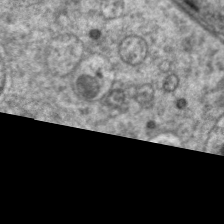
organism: C. elegans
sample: Pharynx